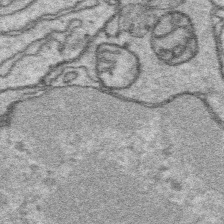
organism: Platynereis dumerilii